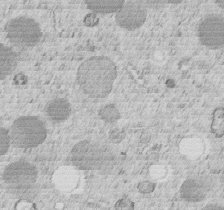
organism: C. elegans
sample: C. elegans embryo early stage